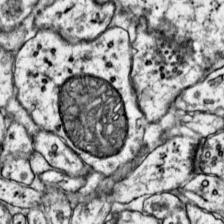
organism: Mouse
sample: Primary visual cortex